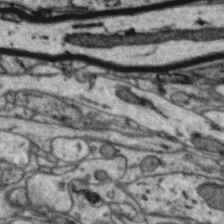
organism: Zebra finch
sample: Brain